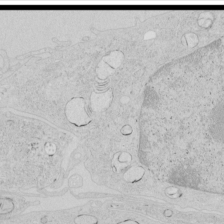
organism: Human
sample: Mitochondria in HCT116 cells